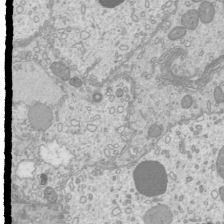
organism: Mouse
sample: Cilia; mouse epididymis